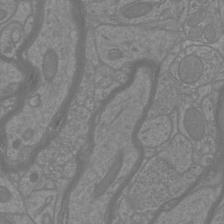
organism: Mouse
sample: Cortical neurons